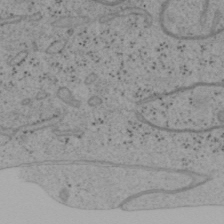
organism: Human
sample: HeLa cells